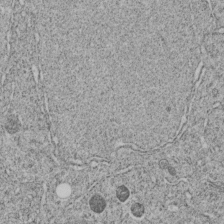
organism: C. elegans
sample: C. elegans embryo early stage